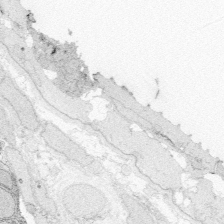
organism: Zebrafish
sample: Whole-Brain